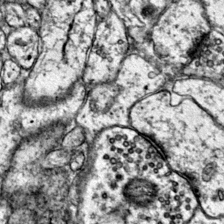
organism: Mouse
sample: Primary visual cortex